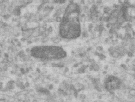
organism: Human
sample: Centriole in RPE cells